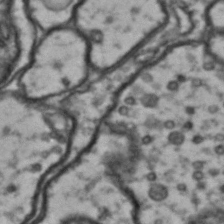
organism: Drosophila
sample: Brain